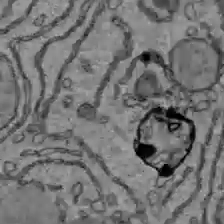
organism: C57BL Mouse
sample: Liver